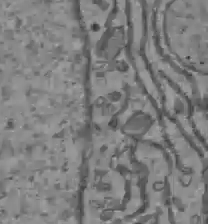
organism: C57BL Mouse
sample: Liver